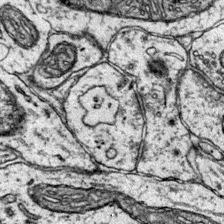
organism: Mouse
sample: Primary visual cortex